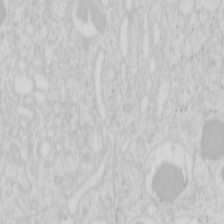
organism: Mouse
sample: Pancreas